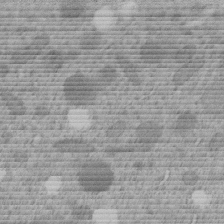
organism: C. elegans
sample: C. elegans embryo early stage